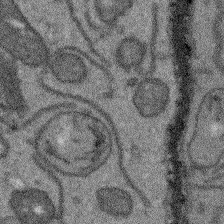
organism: Arabidopsis thaliana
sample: Root tip